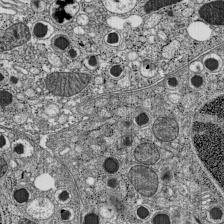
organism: C57BL Mouse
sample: Pancreatic islet